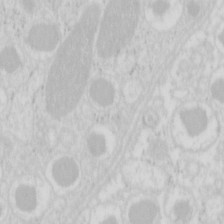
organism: Mouse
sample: Pancreas